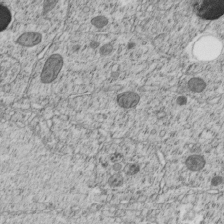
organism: C. elegans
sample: C. elegans embryo early stage